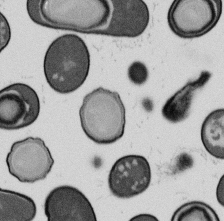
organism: B. subtilis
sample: Bacterial spore